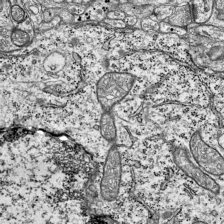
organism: Mouse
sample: Visual Cortex